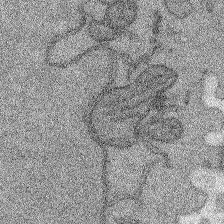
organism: Human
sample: HeLa cells